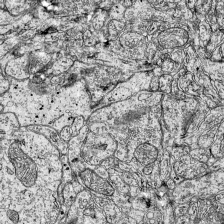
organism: Mouse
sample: Visual Cortex